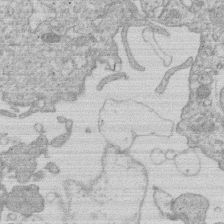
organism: Human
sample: Macrophage cells